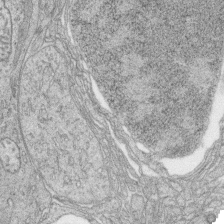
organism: Zebrafish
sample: synaptic ribbons in rod cells and cone cells